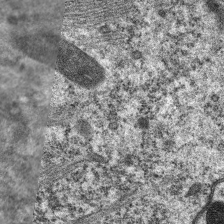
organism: C. elegans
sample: Pharynx